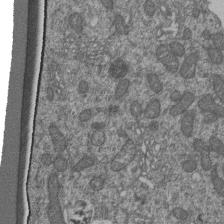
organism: Human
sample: Retinal organoid Rod and Cone cells